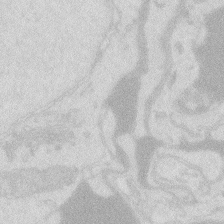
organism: Zebrafish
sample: Macrophage